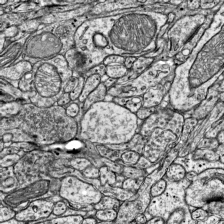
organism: Mouse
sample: Visual Cortex